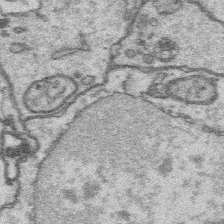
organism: Platynereis dumerilii